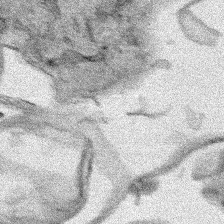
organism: Human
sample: Mitochondria in HCT116 cells